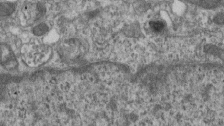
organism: Mouse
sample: Centriole in ependymal cells